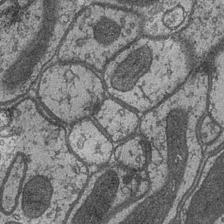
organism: Drosophila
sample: Optic medulla